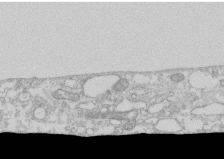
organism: Human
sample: CRL-1474